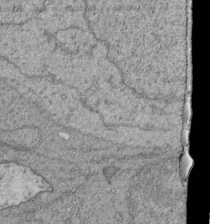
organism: Human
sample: Retinal organoid Rod and Cone cells